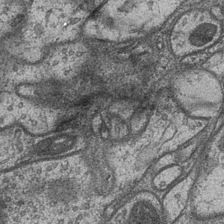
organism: Drosophila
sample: Optic medulla